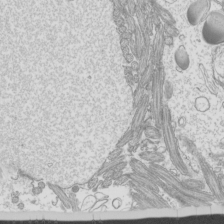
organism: Mouse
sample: Cilia; mouse epididymis